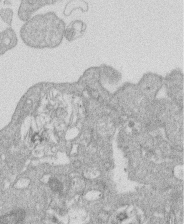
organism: Human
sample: Macrophage cells